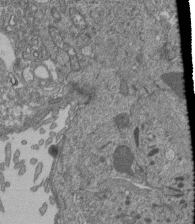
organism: Human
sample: Retinal organoid Rod and Cone cells